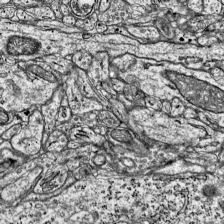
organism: Mouse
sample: Visual Cortex